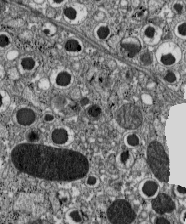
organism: C57BL Mouse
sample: Pancreatic islet